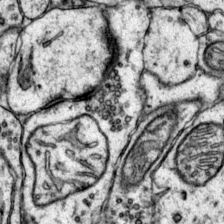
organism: Mouse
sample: Primary visual cortex